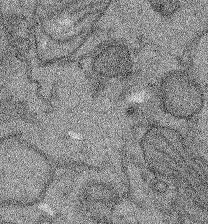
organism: Human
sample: HeLa cells